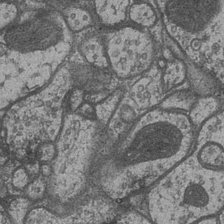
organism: Drosophila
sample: Optic medulla